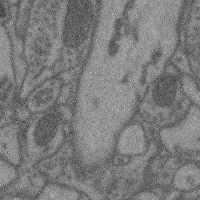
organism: Mouse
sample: Cerebral cortex